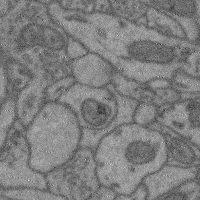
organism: Mouse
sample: Cerebral cortex